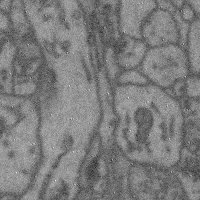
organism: Mouse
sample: Cerebral cortex